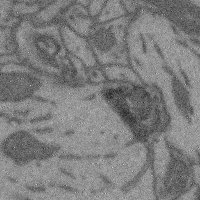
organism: Mouse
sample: Cerebral cortex